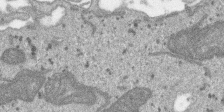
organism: Human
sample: Lung epithelial cells infected with SARS-CoV-2